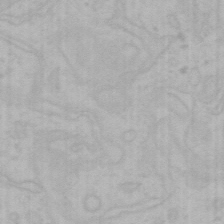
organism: Mouse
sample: Choroid plexus